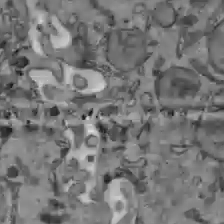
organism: C57BL Mouse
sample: Liver